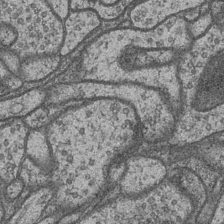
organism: Drosophila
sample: Optic medulla